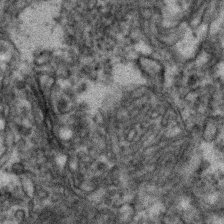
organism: Zebrafish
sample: Zebrafish embryo